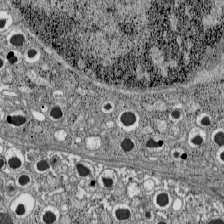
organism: C57BL Mouse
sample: Pancreatic islet